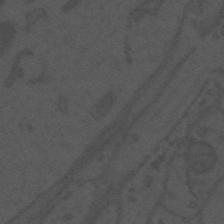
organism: Mouse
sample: Suprachiasmatic nucleus